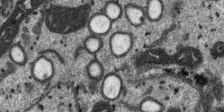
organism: Human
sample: Lung epithelial cells infected with SARS-CoV-2